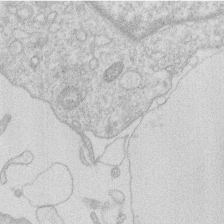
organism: Human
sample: Macrophage cells